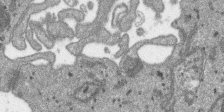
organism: Human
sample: Lung epithelial cells infected with SARS-CoV-2